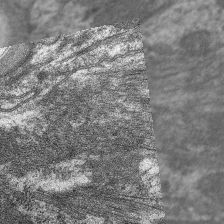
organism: C. elegans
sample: Pharynx